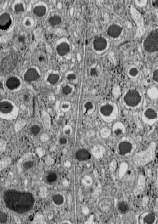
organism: C57BL Mouse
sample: Pancreatic islet